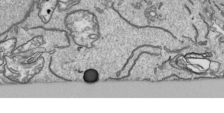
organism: Human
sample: Mitochondria in HCT116 cells